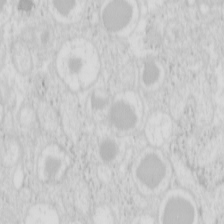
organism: Mouse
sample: Pancreas